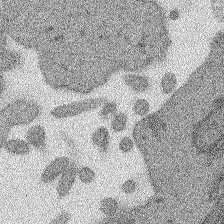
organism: Human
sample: HeLa cells